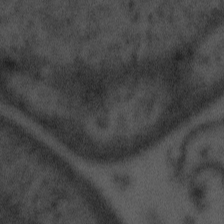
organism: Tuwongella immobilis